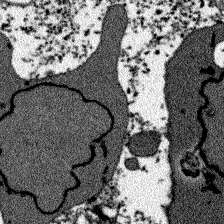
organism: Zebrafish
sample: Larval olfactory bulb